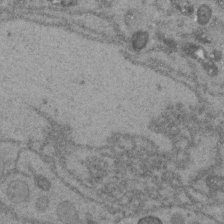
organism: C. elegans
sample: C. elegans embryo early stage